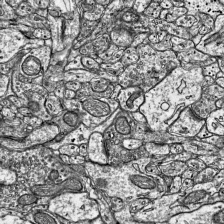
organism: Mouse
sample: Visual Cortex